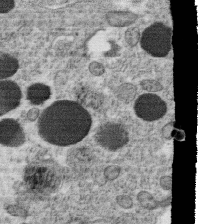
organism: C. elegans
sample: C. elegans oocyte; sperm cells